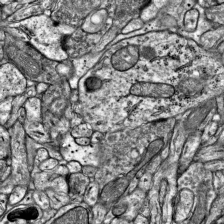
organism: Mouse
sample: Visual Cortex